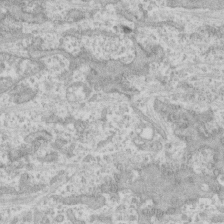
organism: Human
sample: CRL-1474